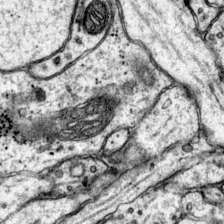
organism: Mouse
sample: Primary visual cortex